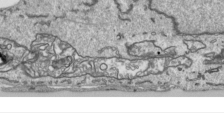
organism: Human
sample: Mitochondria in HCT116 cells